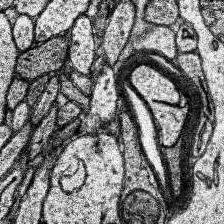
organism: Human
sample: Temporal Lobe